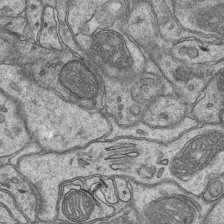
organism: Mouse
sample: CA1 Hippocampus